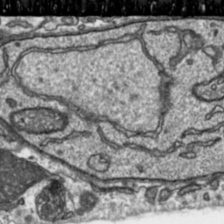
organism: Toxoplasma gondii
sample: Parasites in a vacuole inside a host cell